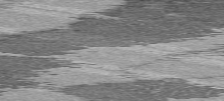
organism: C57BL Mouse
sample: Heart